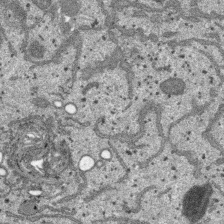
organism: Human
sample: Lung epithelial cells infected with SARS-CoV-2